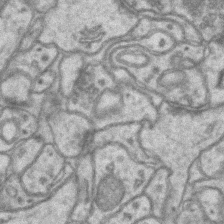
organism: Mouse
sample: CA1 Hippocampus